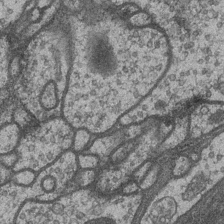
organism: Drosophila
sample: Optic medulla